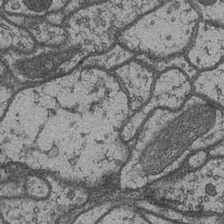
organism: Drosophila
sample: Optic medulla